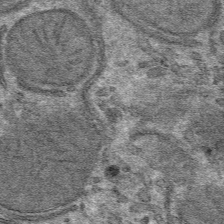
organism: Mouse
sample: Mouse hepatocytes